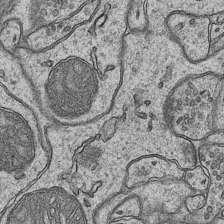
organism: Mouse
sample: CA1 Hippocampus